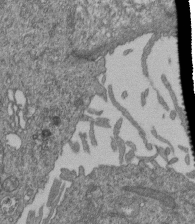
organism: Human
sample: Retinal organoid Rod and Cone cells